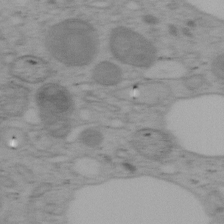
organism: Mouse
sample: OT-I killer T cells with ID8 ovarian cancer cells